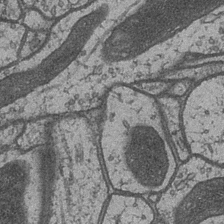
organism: Drosophila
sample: Optic medulla